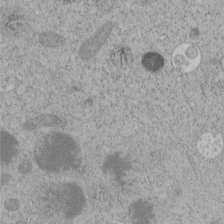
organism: C. elegans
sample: C. elegans embryo early stage